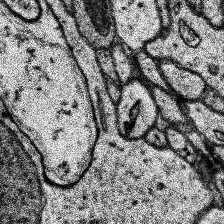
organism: Human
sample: Temporal Lobe